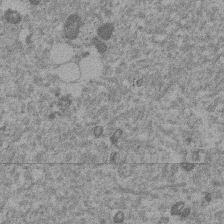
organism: Mouse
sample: Dividing mouse embryo 1 cell stage